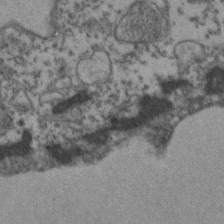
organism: Zebrafish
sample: Zebrafish embryo